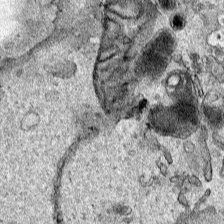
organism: Human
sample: Mitochondria in HCT116 cells